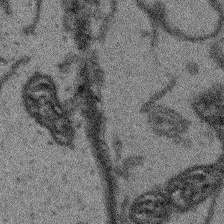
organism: Arabidopsis thaliana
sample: Root tip